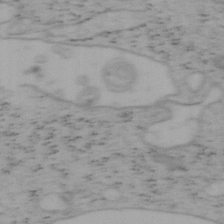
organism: Mouse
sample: OT-I killer T cells with ID8 ovarian cancer cells